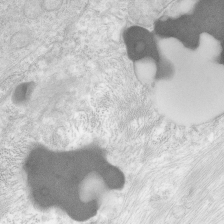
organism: Human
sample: Neocortex